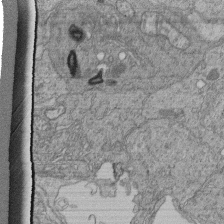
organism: Human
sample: Retinal organoid Rod and Cone cells